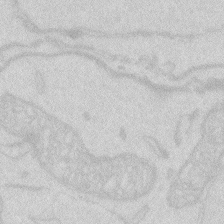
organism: Zebrafish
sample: Macrophage